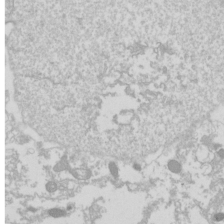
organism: Drosophila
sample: Cell division; meiosis; drosophila spermatocytes